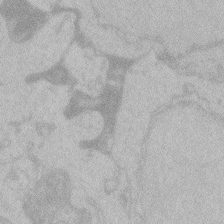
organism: Zebrafish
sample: Macrophage infected with Toxoplasma gondii